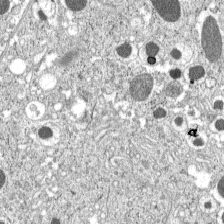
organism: C57BL Mouse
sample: Pancreatic islet